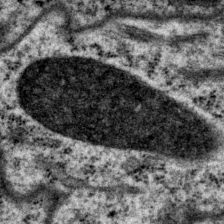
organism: P. pacificus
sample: Pharynx